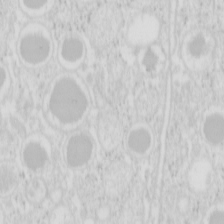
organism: Mouse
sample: Pancreas